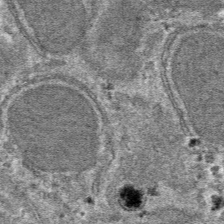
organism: Mouse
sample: Mouse hepatocytes